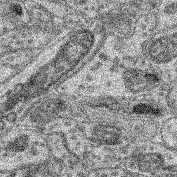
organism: Mouse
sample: Retina